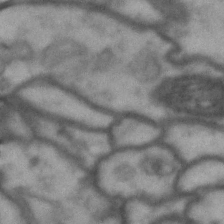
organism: Drosophila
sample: Brain